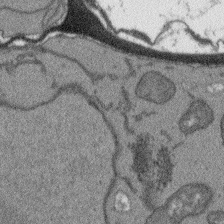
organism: Arabidopsis thaliana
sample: Root tip